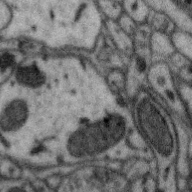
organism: Zebra finch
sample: Brain